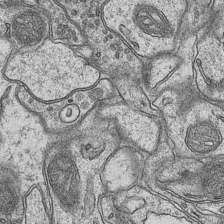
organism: Mouse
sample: CA1 Hippocampus